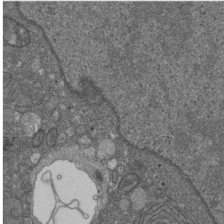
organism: Drosophila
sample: Nephrocyte